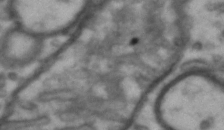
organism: Drosophila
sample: Brain